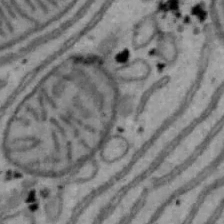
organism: Mouse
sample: Liver